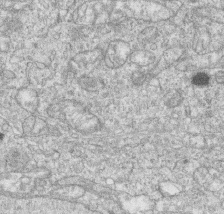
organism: Human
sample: HeLa cell HIV synapse